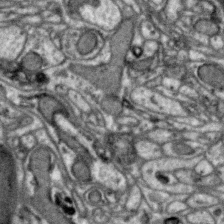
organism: Zebra finch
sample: Brain